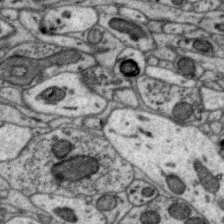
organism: Zebra finch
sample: Brain